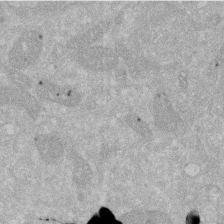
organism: Human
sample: HIV infected U937 cells